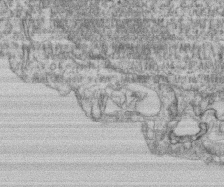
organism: Mouse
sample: T cell stromal cell synapse